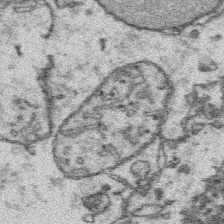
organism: Platynereis dumerilii